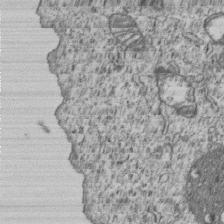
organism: Human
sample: MDA-MB-231 cells